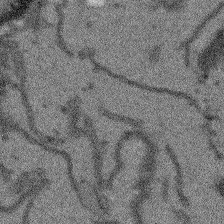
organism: Arabidopsis thaliana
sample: Root tip